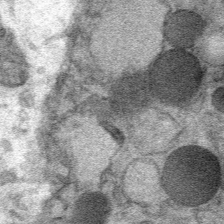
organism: Mouse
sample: Mouse Salivary gland